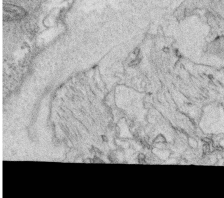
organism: C. elegans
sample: C. elegans oocyte; sperm cells